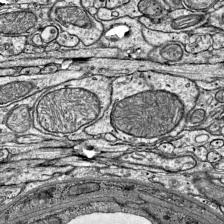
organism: Mouse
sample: Visual Cortex